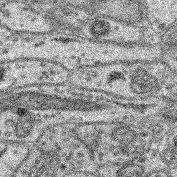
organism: Mouse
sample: Retina